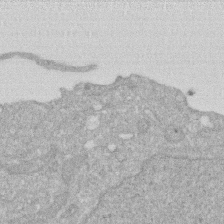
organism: Human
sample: HIV infected U937 cells